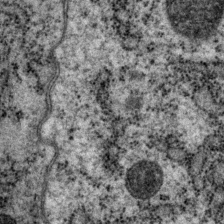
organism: P. pacificus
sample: Pharynx